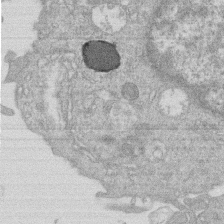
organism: Human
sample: Macrophage cells